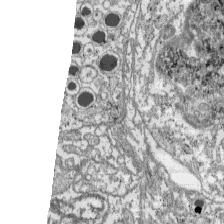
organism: C57BL Mouse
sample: Pancreatic islet